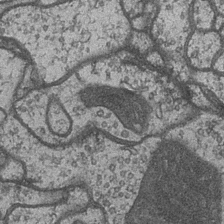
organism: Drosophila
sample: Optic medulla